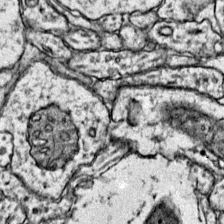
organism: Mouse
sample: Primary visual cortex